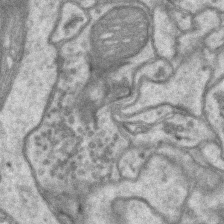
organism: Mouse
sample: CA1 Hippocampus